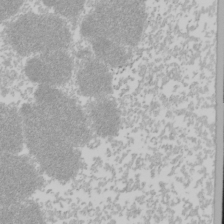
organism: Mouse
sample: Cancer cell death in ED-1 cells